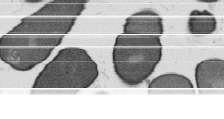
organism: B. subtilis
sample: Bacterial spore